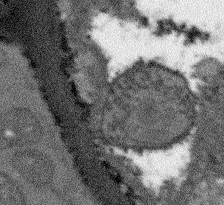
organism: Arabidopsis thaliana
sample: Root tip